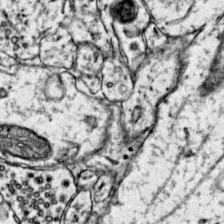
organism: Mouse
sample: Primary visual cortex